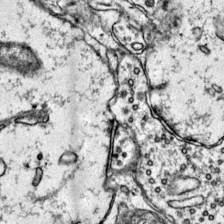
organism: Mouse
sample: Primary visual cortex